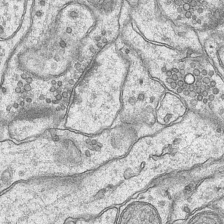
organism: Mouse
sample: CA1 Hippocampus